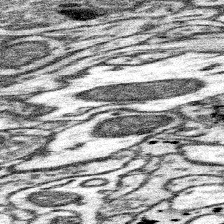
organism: Mouse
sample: Somatosensory cortex neuropil